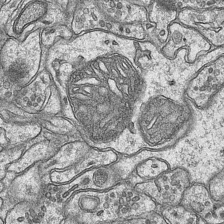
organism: Mouse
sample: CA1 Hippocampus